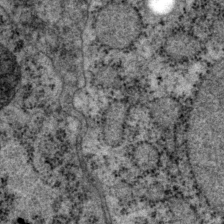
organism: P. pacificus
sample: Pharynx